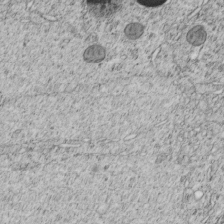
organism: C. elegans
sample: C. elegans embryo early stage